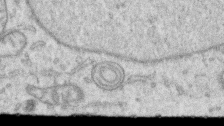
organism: Human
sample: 1205lu cells